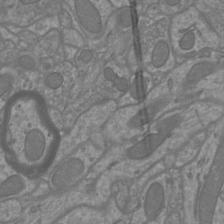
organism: Mouse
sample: Cortical neurons